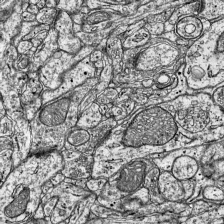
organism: Mouse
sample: Visual Cortex